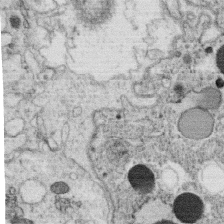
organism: C. elegans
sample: C. elegans oocyte; sperm cells